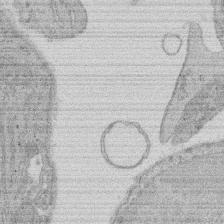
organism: Rat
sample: Salivary granule